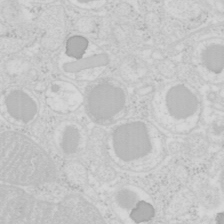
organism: Mouse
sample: Pancreas